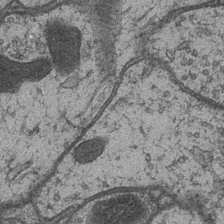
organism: Drosophila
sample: Optic medulla